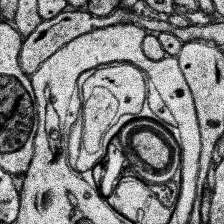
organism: Human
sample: Temporal Lobe